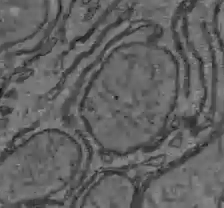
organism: C57BL Mouse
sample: Liver